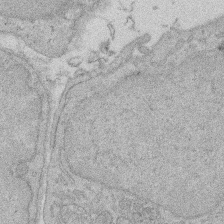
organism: Rat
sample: Salivary granule